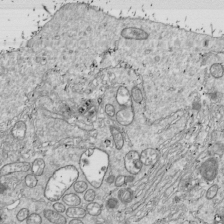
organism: Drosophila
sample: Cell division; meiosis; drosophila spermatocytes